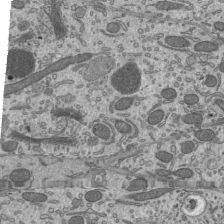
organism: Mouse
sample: Mouse epididymis efferent ductule cilia